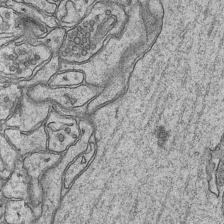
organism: Mouse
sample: CA1 Hippocampus